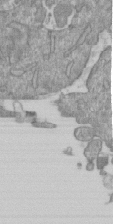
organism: Mouse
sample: ED-1 cell nuclei; centrioles